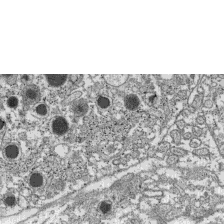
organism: C57BL Mouse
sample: Pancreatic islet